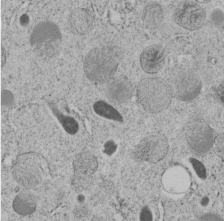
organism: C. elegans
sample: C. elegans embryo early stage